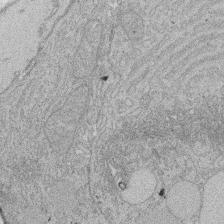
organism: Rat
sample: Salivary granule